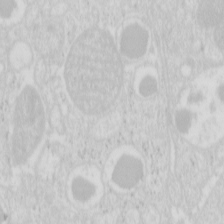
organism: Mouse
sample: Pancreas